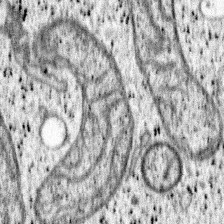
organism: Human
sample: HeLa cells